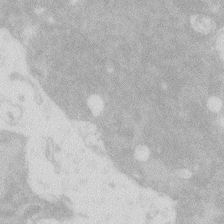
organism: Zebrafish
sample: Macrophage